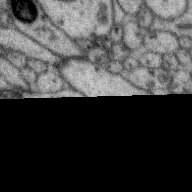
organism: Zebra finch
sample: Brain